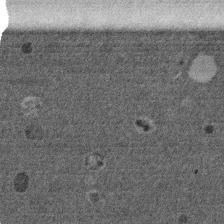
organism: Mouse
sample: Dividing mouse embryo 1 cell stage